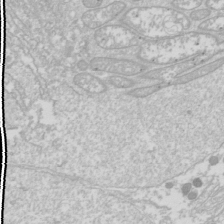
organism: Drosophila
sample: Cell division; meiosis; drosophila spermatocytes